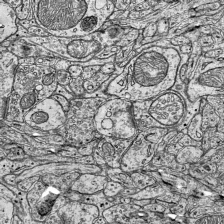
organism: Mouse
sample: Visual Cortex